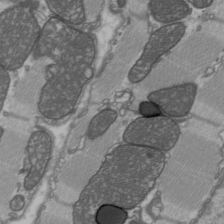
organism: C57BL Mouse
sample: Heart